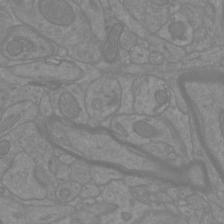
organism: Mouse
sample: Cortical neurons